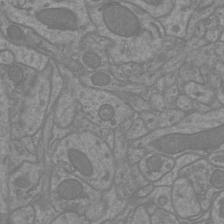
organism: Mouse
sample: Cortical neurons